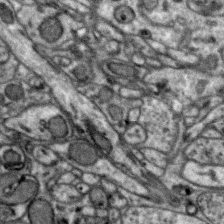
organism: Zebra finch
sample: Brain